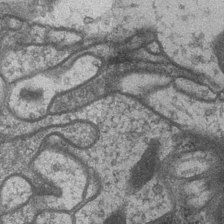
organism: Drosophila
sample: Optic medulla